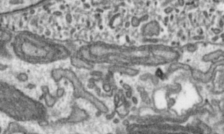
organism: Toxoplasma gondii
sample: Parasites in a vacuole inside a host cell